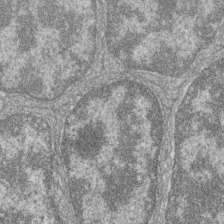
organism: Zebrafish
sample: Cilia; retinal pigment epithelium